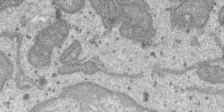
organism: Human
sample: Lung epithelial cells infected with SARS-CoV-2